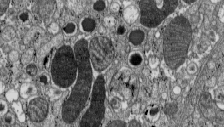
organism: C57BL Mouse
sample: Pancreatic islet